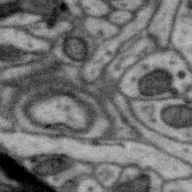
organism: Zebra finch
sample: Brain